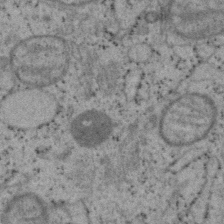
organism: Human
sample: HeLa cells